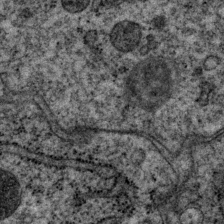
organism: P. pacificus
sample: Pharynx